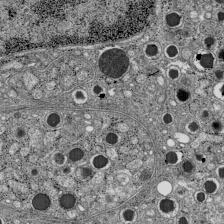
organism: C57BL Mouse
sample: Pancreatic islet